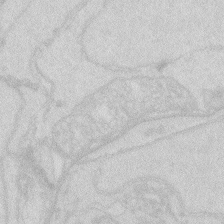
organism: Zebrafish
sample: Macrophage